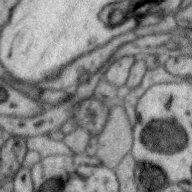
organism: Zebra finch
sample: Brain